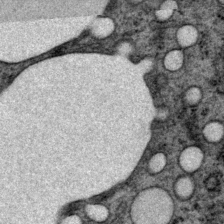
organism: P. pacificus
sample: Pharynx